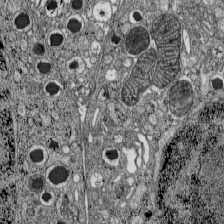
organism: C57BL Mouse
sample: Pancreatic islet